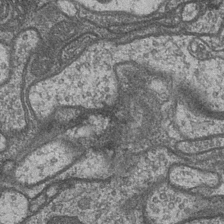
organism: Drosophila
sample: Optic medulla